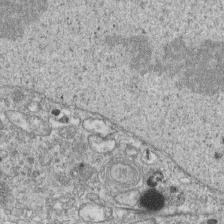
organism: Human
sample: HeLa cell HIV synapse